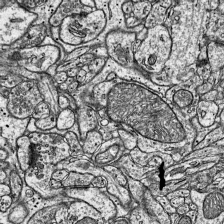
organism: Mouse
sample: Visual Cortex